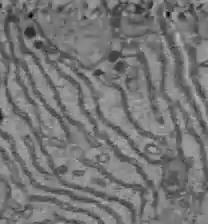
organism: C57BL Mouse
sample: Liver